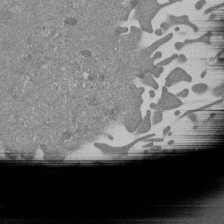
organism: Mouse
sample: ED-1 cell nuclei; centrioles